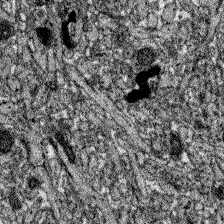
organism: Zebrafish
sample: Larval olfactory bulb